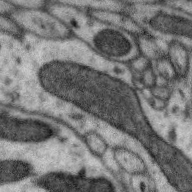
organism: Zebra finch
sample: Brain